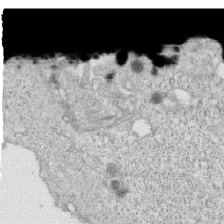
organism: Human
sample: HeLa cell HIV synapse